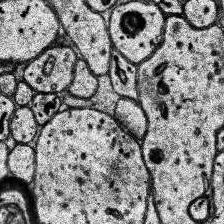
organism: Human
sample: Temporal Lobe